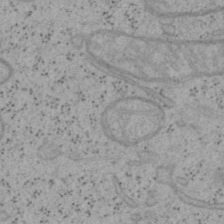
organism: Human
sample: HeLa cells